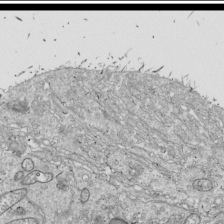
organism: Drosophila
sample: Cell division; meiosis; drosophila spermatocytes